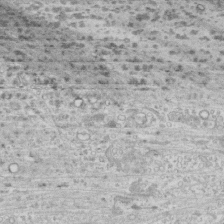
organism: Human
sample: CRL-1474